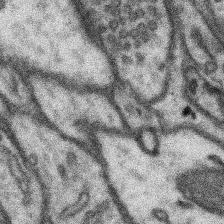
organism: Mouse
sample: Somatosensory cortex neuropil